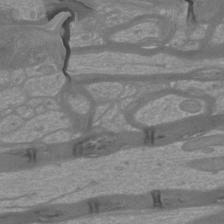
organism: Mouse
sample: Cortical neurons